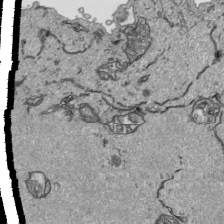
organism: Human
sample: Mitochondria in HCT116 cells